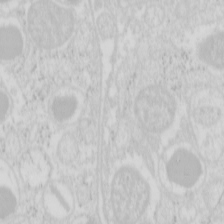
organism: Mouse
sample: Pancreas